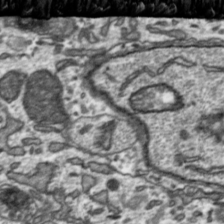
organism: Toxoplasma gondii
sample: Parasites in a vacuole inside a host cell